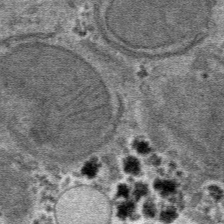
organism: Mouse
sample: Mouse hepatocytes